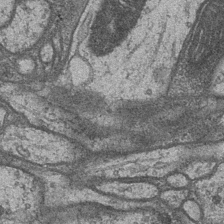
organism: Drosophila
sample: Optic medulla